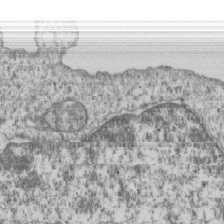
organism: Human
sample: MDA-MB-231 cells